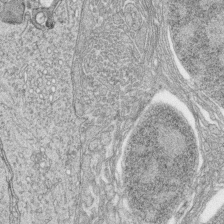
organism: Zebrafish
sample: synaptic ribbons in rod cells and cone cells